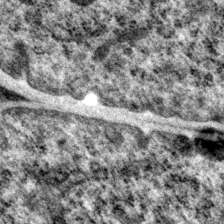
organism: P. pacificus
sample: Pharynx